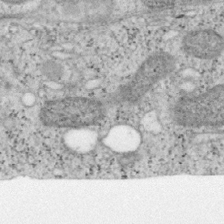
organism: Mouse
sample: OT-I killer T cells with ID8 ovarian cancer cells